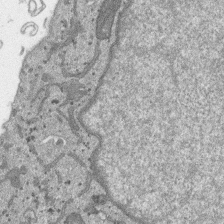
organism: Human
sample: Lung epithelial cells infected with SARS-CoV-2